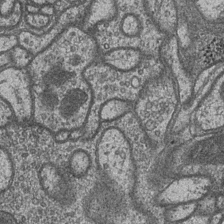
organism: Drosophila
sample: Optic medulla